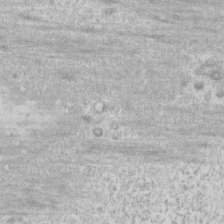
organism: Human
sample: Fibroblast cells